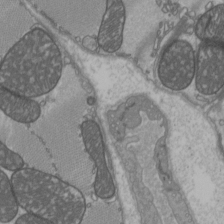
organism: C57BL Mouse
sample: Heart